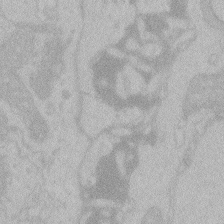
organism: Zebrafish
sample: Macrophage infected with Toxoplasma gondii